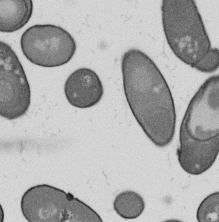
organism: B. subtilis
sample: Bacterial spore